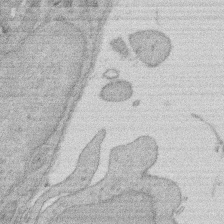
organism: Rat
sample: Salivary granule